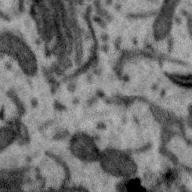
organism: Zebra finch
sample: Brain